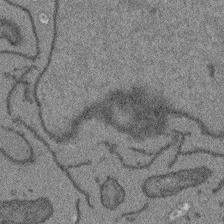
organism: Arabidopsis thaliana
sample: Root tip